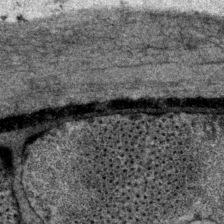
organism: P. pacificus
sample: Pharynx